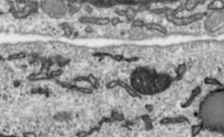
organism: Toxoplasma gondii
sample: Parasites in a vacuole inside a host cell